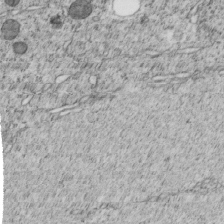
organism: C. elegans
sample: C. elegans embryo early stage